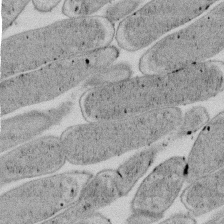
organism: E. coli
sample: Bacterial nucleoid